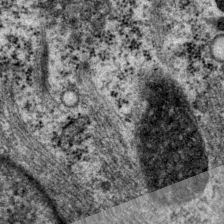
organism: P. pacificus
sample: Pharynx